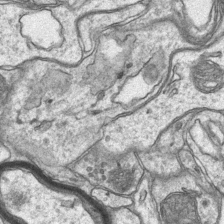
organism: Mouse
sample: CA1 Hippocampus